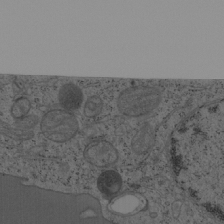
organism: Human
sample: HeLa cells